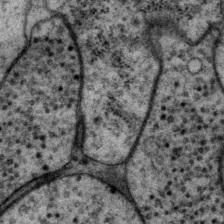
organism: P. pacificus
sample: Pharynx